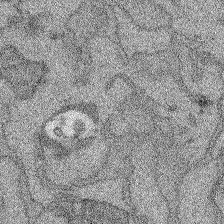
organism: Human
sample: HeLa cells